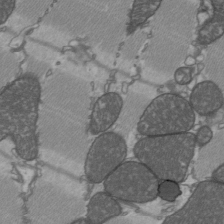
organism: C57BL Mouse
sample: Heart